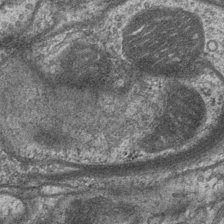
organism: Drosophila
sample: Optic medulla